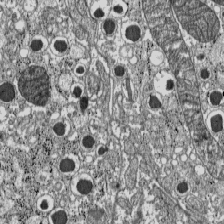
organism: C57BL Mouse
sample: Pancreatic islet